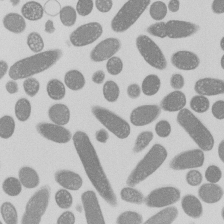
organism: E. coli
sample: Bacterial nucleoid